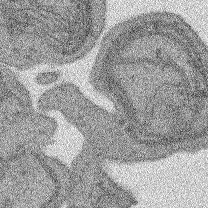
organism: Human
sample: HeLa cells